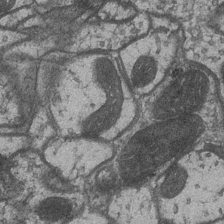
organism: Drosophila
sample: Optic medulla